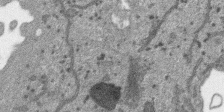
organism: Human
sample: Lung epithelial cells infected with SARS-CoV-2